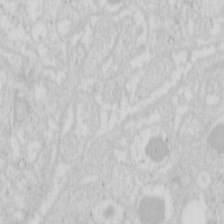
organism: Mouse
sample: Pancreas